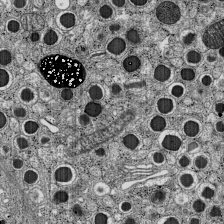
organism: C57BL Mouse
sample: Pancreatic islet